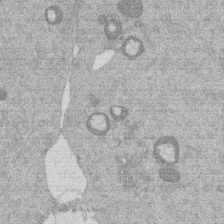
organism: Mouse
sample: Dividing mouse embryo 1 cell stage